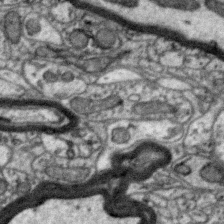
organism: Zebra finch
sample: Brain